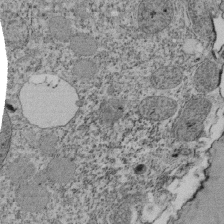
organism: Tetrahymena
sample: Cilia in tetrahymena